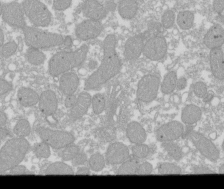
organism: Xenopus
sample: Cilia; centrioles in frog embryo cells